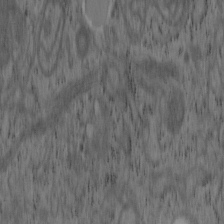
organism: Human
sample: HeLa cells